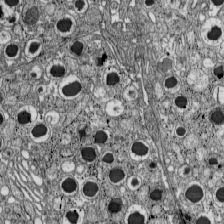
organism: C57BL Mouse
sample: Pancreatic islet